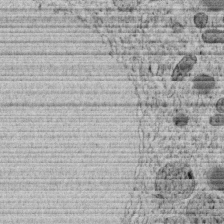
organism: C. elegans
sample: C. elegans embryo early stage